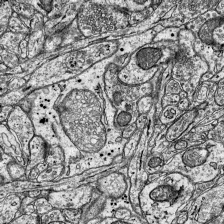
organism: Mouse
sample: Visual Cortex